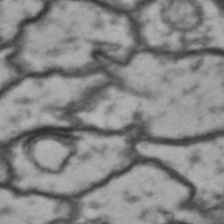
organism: Drosophila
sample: Brain